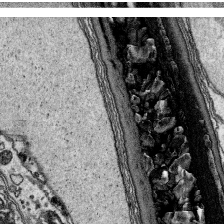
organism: Platynereis dumerilii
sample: Parapodia